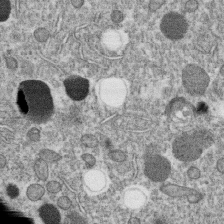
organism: C. elegans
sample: C. elegans oocyte; sperm cells